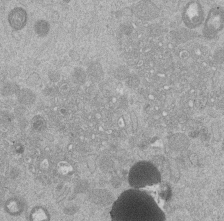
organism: Mouse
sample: Dividing mouse embryo 1 cell stage